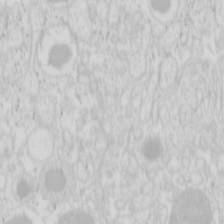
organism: Mouse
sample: Pancreas